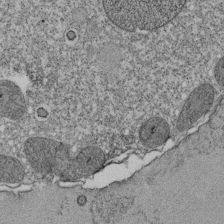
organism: Tetrahymena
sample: Cilia in tetrahymena